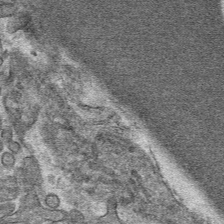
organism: Mouse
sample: Mouse hepatocytes